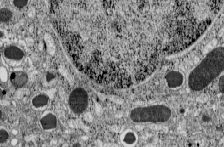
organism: C57BL Mouse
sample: Pancreatic islet